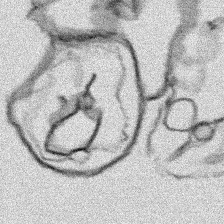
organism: Human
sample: Mitochondria in HCT116 cells